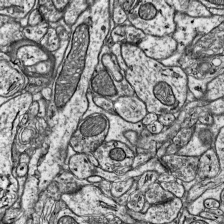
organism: Mouse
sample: Visual Cortex